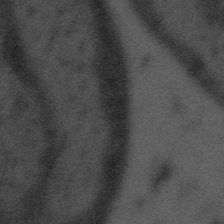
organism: Tuwongella immobilis